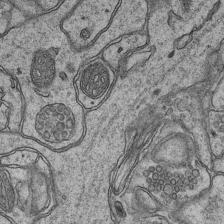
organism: Mouse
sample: CA1 Hippocampus